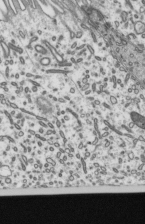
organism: Mouse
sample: Mouse epididymis efferent ductule cilia